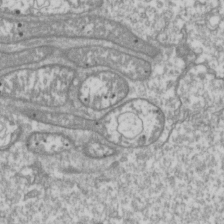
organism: Drosophila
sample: Cell division; meiosis; drosophila spermatocytes